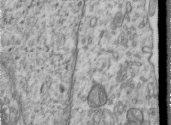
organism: Human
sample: Centriole in RPE cells